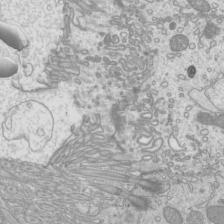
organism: Mouse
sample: Cilia; mouse epididymis